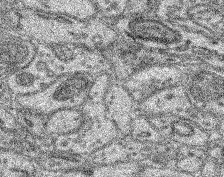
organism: Mouse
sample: Retina